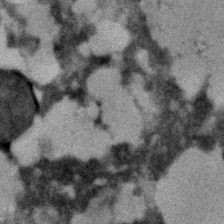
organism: C. elegans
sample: C. elegans embryo